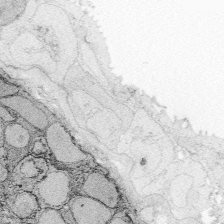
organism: Zebrafish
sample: Whole-Brain